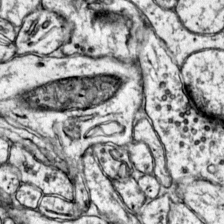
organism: Mouse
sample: Primary visual cortex